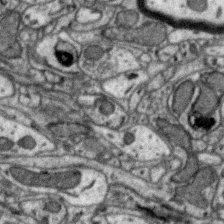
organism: Zebra finch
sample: Brain